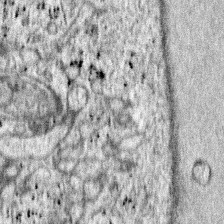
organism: Human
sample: HeLa cells